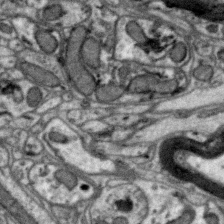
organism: Zebra finch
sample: Brain